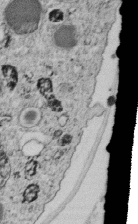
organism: C. elegans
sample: C. elegans embryo early stage